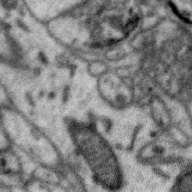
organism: Zebra finch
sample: Brain